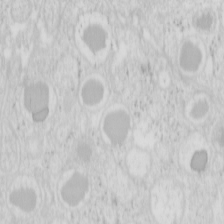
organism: Mouse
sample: Pancreas